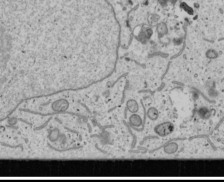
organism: Human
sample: Mitochondria in U2OS cells